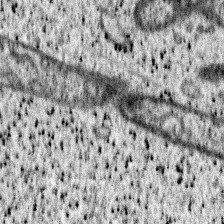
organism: Human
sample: HeLa cells